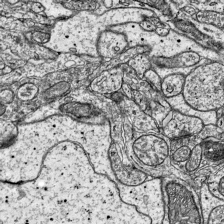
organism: Mouse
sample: Visual Cortex